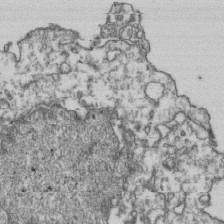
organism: Human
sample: Activated Jurkat CD4+ T cells